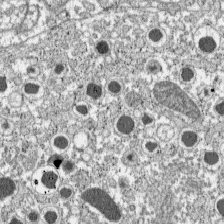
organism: C57BL Mouse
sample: Pancreatic islet